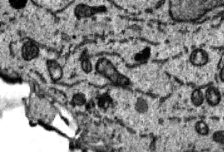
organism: Human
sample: HeLa cells